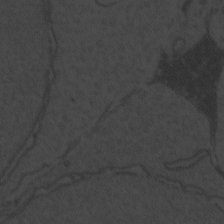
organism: Zebrafish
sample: Macrophage infected with Toxoplasma gondii